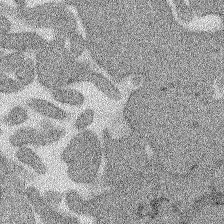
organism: Human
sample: HeLa cells